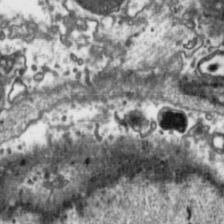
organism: Toxoplasma gondii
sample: Parasites in a vacuole inside a host cell